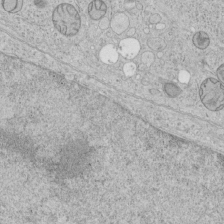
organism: Human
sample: Mitochondria in HCT116 cells